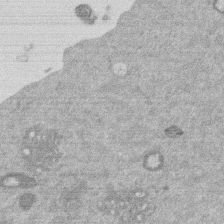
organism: Mouse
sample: Dividing mouse embryo 1 cell stage